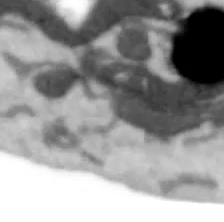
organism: Human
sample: SH-SY5Y cells